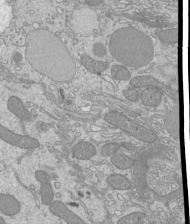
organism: Mouse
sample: Cilia; mouse epididymis